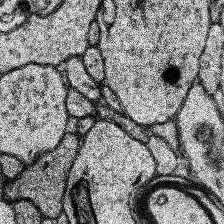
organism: Human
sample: Temporal Lobe